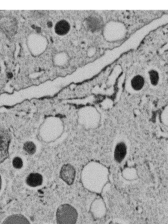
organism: C. elegans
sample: C. elegans embryo early stage